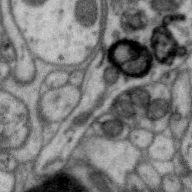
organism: Zebra finch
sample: Brain